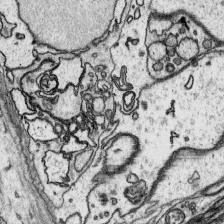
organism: Platynereis dumerilii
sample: Parapodia